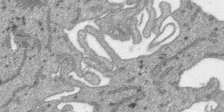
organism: Human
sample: Lung epithelial cells infected with SARS-CoV-2